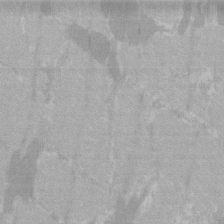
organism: C57BL Mouse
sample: Tibialis anterior muscle cell